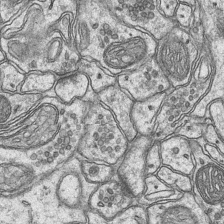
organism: Mouse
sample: CA1 Hippocampus